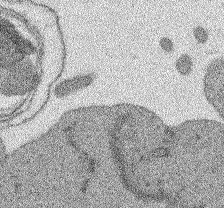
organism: Human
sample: HeLa cells